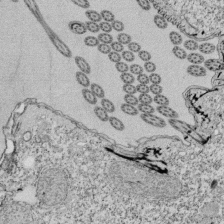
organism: Tetrahymena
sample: Cilia in tetrahymena